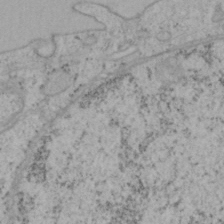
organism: Human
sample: HeLa cells